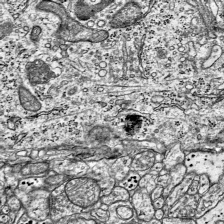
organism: Mouse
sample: Visual Cortex